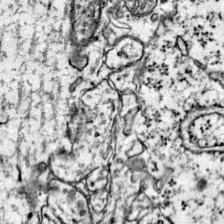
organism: Mouse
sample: Primary visual cortex